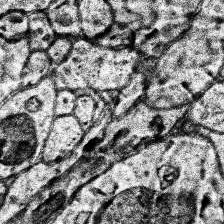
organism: Human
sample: Temporal Lobe